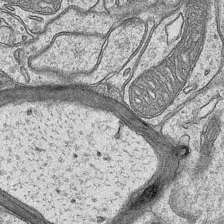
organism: Mouse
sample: CA1 Hippocampus